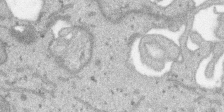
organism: Human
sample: Lung epithelial cells infected with SARS-CoV-2